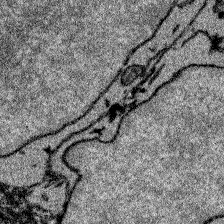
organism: Zebrafish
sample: Larval olfactory bulb